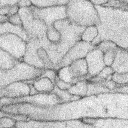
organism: Rabbit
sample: Retina